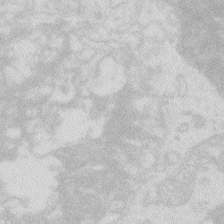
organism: Zebrafish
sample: Macrophage